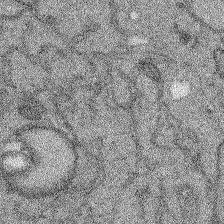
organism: Human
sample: HeLa cells